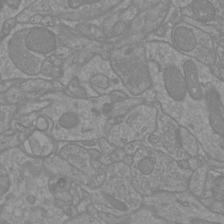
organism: Mouse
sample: Cortical neurons